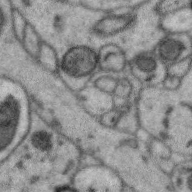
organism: Zebra finch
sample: Brain